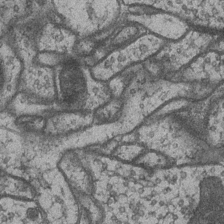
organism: Drosophila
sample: Optic medulla